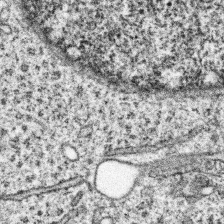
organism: Human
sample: HeLa cells